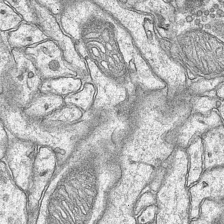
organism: Mouse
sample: CA1 Hippocampus